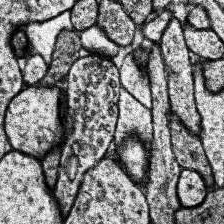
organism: Human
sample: Temporal Lobe